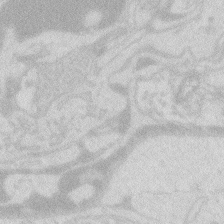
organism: Zebrafish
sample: Macrophage